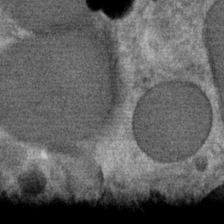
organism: Mouse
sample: Mouse Salivary gland